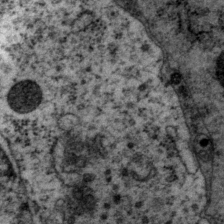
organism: P. pacificus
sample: Pharynx